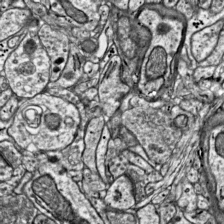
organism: Mouse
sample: Visual Cortex